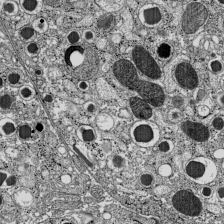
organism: C57BL Mouse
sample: Pancreatic islet